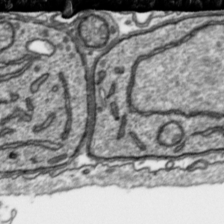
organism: Toxoplasma gondii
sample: Parasites in a vacuole inside a host cell